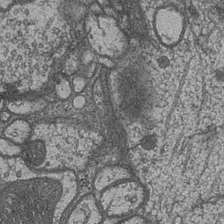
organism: Drosophila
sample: Optic medulla